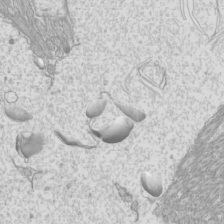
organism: Mouse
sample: Cilia; mouse epididymis